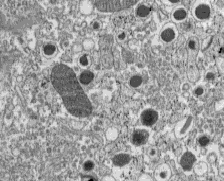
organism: C57BL Mouse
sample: Pancreatic islet